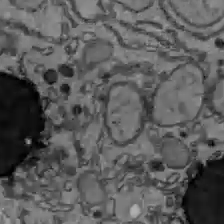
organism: C57BL Mouse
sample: Liver